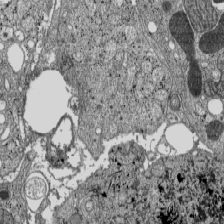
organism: C57BL Mouse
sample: Pancreatic islet